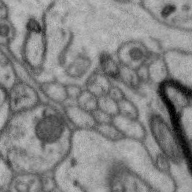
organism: Zebra finch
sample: Brain